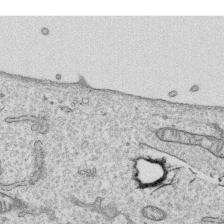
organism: Human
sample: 1205lu cells